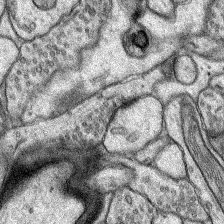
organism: Rat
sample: Hippocampus